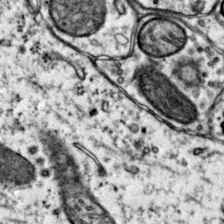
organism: Mouse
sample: Primary visual cortex